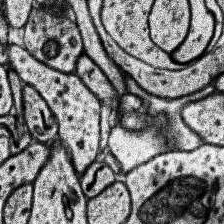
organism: Human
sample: Temporal Lobe